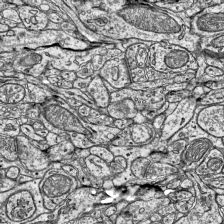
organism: Mouse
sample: Visual Cortex